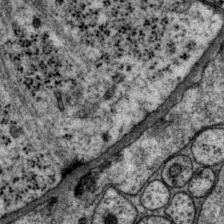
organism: P. pacificus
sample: Pharynx